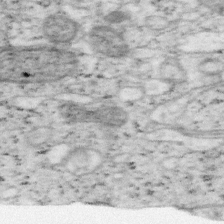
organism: Mouse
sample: OT-I killer T cells with ID8 ovarian cancer cells